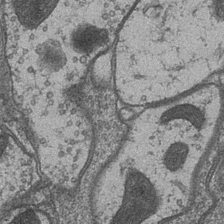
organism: Drosophila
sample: Optic medulla